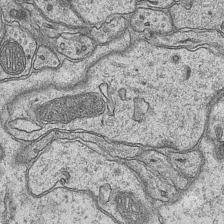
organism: Mouse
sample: CA1 Hippocampus